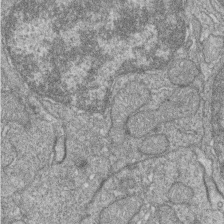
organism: Zebrafish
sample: Cilia; retinal pigment epithelium